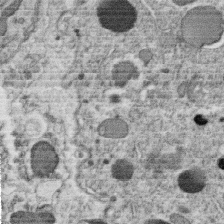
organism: C. elegans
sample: C. elegans oocyte; sperm cells